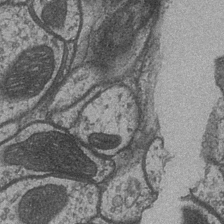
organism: Drosophila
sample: Optic medulla